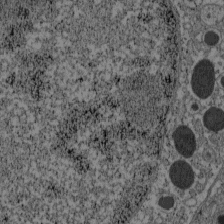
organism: C57BL Mouse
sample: Pancreatic islet